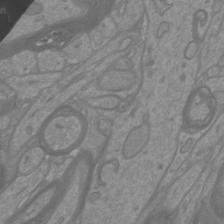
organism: Mouse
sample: Cortical neurons